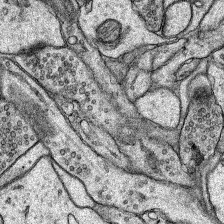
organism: Rat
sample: Hippocampus